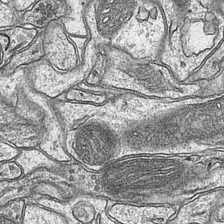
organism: Mouse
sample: CA1 Hippocampus